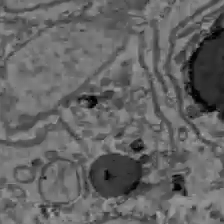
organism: C57BL Mouse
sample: Liver